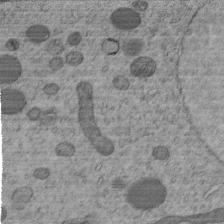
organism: C. elegans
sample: C. elegans embryo early stage